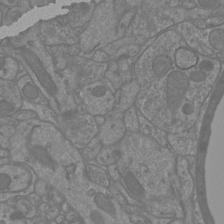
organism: Mouse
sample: Cortical neurons